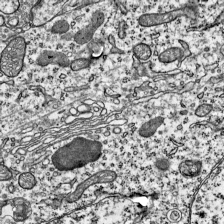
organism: Mouse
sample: Visual Cortex